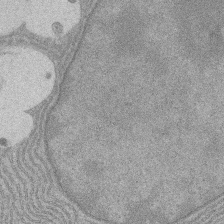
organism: Rat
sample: Salivary granule